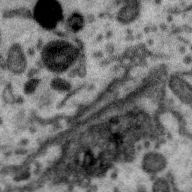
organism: Zebra finch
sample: Brain